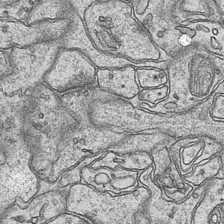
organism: Mouse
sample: CA1 Hippocampus